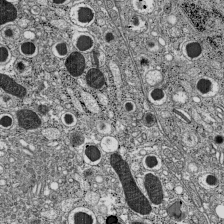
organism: C57BL Mouse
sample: Pancreatic islet